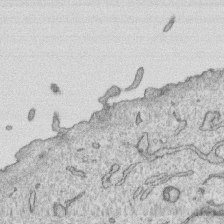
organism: Human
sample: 1205lu cells